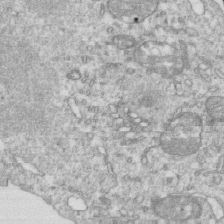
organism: Mouse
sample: Activated OT-1 CD8+ T cells